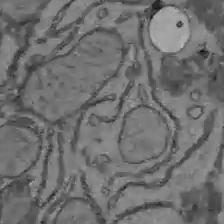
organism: C57BL Mouse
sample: Liver